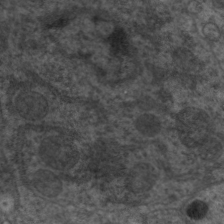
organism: C. elegans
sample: Pharynx